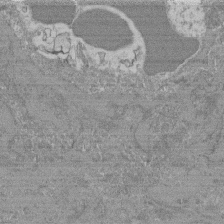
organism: Mouse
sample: Glomerulus